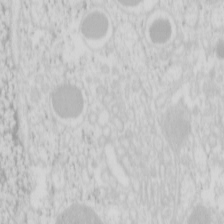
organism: Mouse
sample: Pancreas